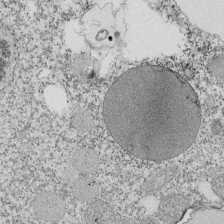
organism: Tetrahymena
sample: Cilia in tetrahymena